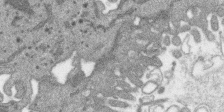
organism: Human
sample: Lung epithelial cells infected with SARS-CoV-2